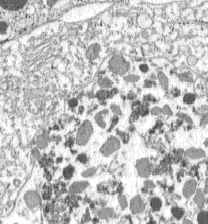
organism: C57BL Mouse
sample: Pancreatic islet